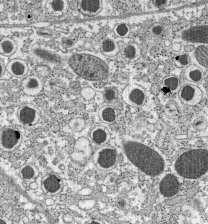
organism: C57BL Mouse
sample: Pancreatic islet